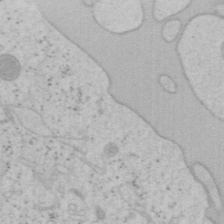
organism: Human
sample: HeLa cells